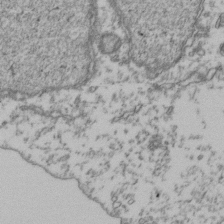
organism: Human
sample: Activated Jurkat CD4+ T cells